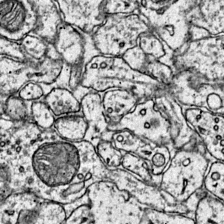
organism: Mouse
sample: Primary visual cortex